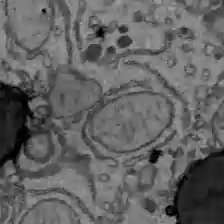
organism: C57BL Mouse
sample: Liver